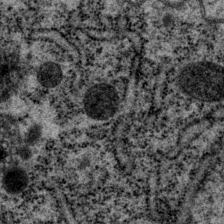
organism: P. pacificus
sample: Pharynx